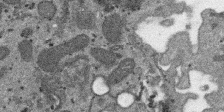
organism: Human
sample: Lung epithelial cells infected with SARS-CoV-2